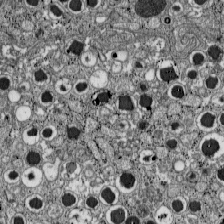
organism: C57BL Mouse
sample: Pancreatic islet